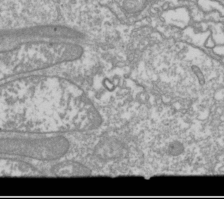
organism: Drosophila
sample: Cell division; meiosis; drosophila spermatocytes